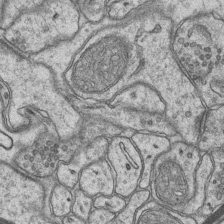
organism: Mouse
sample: CA1 Hippocampus